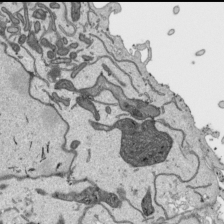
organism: Human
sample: Mitochondria in HCT116 cells